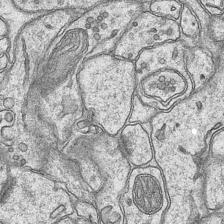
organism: Mouse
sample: CA1 Hippocampus